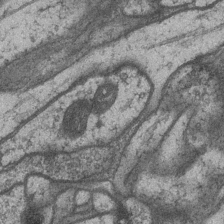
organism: Drosophila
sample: Optic medulla